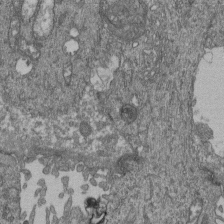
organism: Human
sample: Retinal organoid Rod and Cone cells